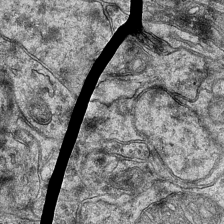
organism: Mouse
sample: CA1 Hippocampus